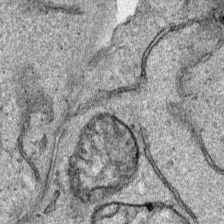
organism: Human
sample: Mitochondria in HCT116 cells